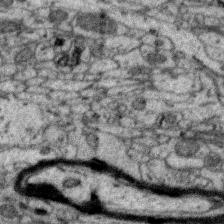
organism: Zebra finch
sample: Brain